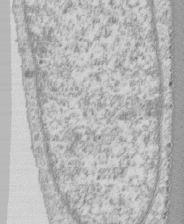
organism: Human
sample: CRL-1474